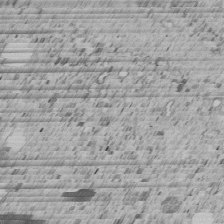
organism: C. elegans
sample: C. elegans embryo early stage